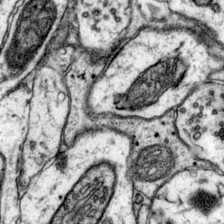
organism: Mouse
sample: Primary visual cortex